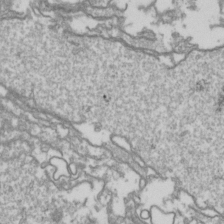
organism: Drosophila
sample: Cell division; meiosis; drosophila spermatocytes